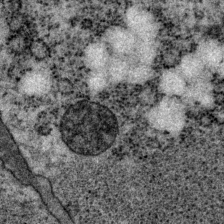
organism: P. pacificus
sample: Pharynx